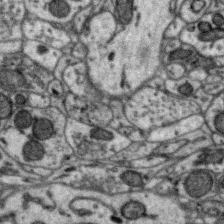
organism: Zebra finch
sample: Brain